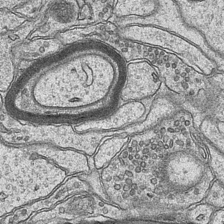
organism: Mouse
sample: CA1 Hippocampus